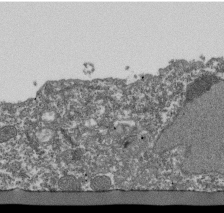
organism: Dictyostelium discoideum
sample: Dictyostelium multivesicular bodies